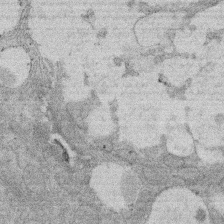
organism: Rat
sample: Salivary granule